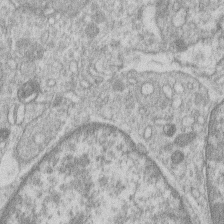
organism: Human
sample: Macrophage cells